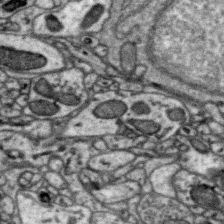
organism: Zebra finch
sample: Brain